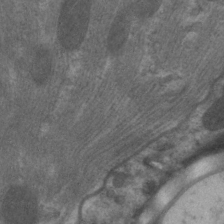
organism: C. elegans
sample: Pharynx